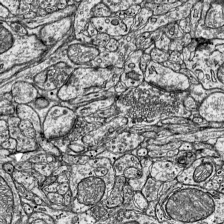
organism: Mouse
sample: Visual Cortex